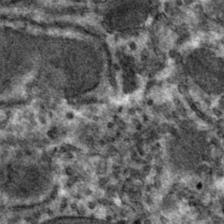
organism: Mouse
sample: Mouse hepatocytes